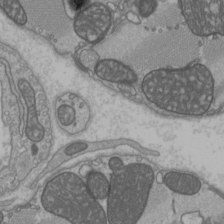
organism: C57BL Mouse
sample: Heart